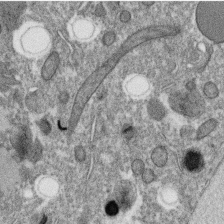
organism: C. elegans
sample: C. elegans oocyte; sperm cells